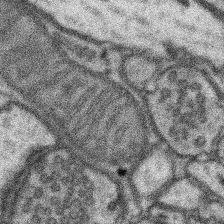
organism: Mouse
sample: Somatosensory cortex neuropil